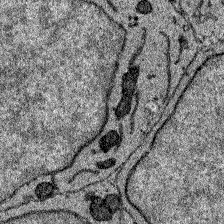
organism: Zebrafish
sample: Larval olfactory bulb